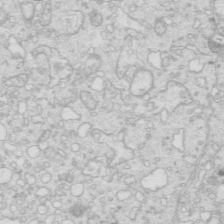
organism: Mouse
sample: Multiciliated cells